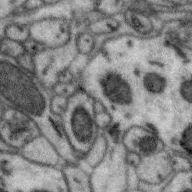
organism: Zebra finch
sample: Brain